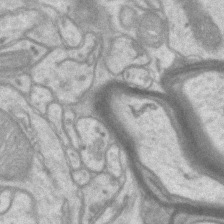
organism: Mouse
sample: CA1 Hippocampus